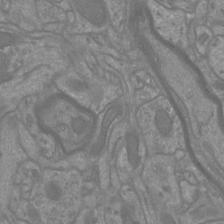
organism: Mouse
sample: Cortical neurons